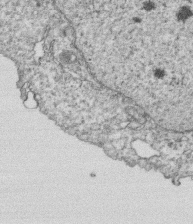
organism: Human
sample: HeLa cell HIV synapse